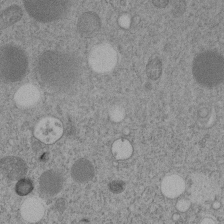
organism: C. elegans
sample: C. elegans embryo early stage